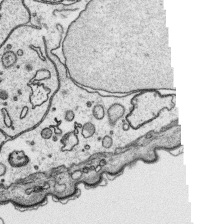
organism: Platynereis dumerilii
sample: Parapodia